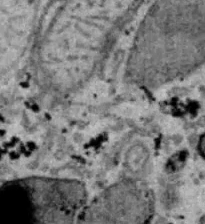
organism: Mouse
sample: Liver from an obese (ob/ob) mouse